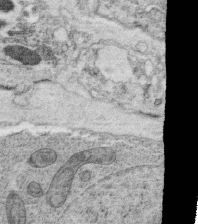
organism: C. elegans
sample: C. elegans oocyte; sperm cells